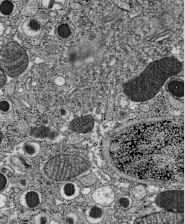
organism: C57BL Mouse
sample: Pancreatic islet